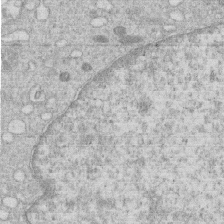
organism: Human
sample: Macrophage cells